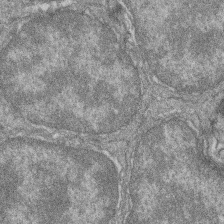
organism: Zebrafish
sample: Cilia; retinal pigment epithelium